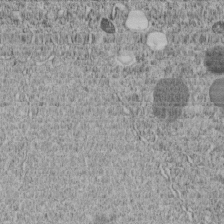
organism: C. elegans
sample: C. elegans embryo early stage